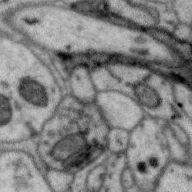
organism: Zebra finch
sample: Brain